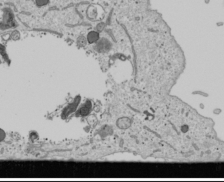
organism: Human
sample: Mitochondria in U2OS cells